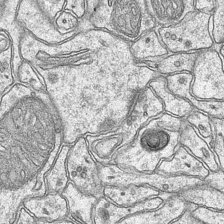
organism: Mouse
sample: CA1 Hippocampus